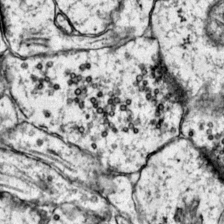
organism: Mouse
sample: Primary visual cortex